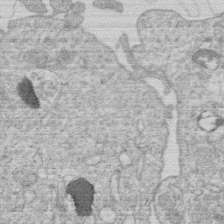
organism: Human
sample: Macrophage cells